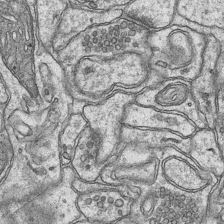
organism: Mouse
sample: CA1 Hippocampus